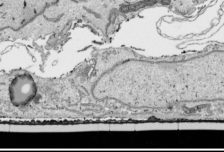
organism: Human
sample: Mitochondria in HCT116 cells